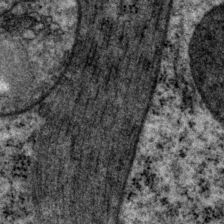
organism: P. pacificus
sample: Pharynx